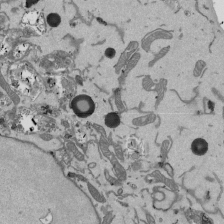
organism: Mouse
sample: ED-1 cell nuclei; centrioles